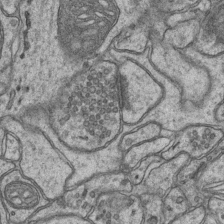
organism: Mouse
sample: CA1 Hippocampus